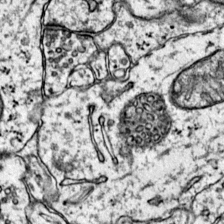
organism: Mouse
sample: Primary visual cortex